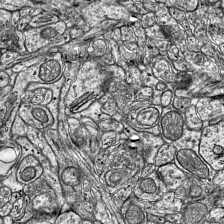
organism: Mouse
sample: Visual Cortex